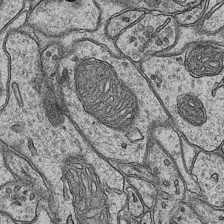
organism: Mouse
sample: CA1 Hippocampus